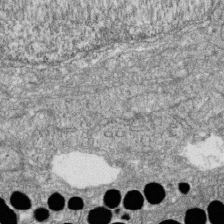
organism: Zebrafish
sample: Cilia; retinal pigment epithelium